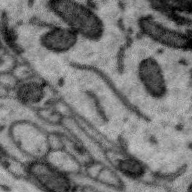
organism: Zebra finch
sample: Brain